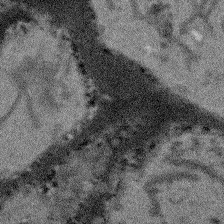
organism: Arabidopsis thaliana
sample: Root tip